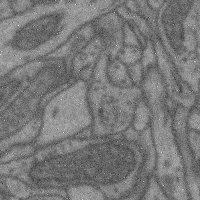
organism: Mouse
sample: Cerebral cortex